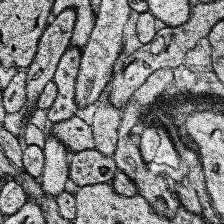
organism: Human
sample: Temporal Lobe